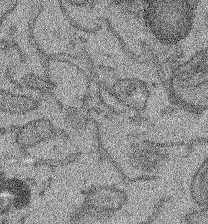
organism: Human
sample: HeLa cells